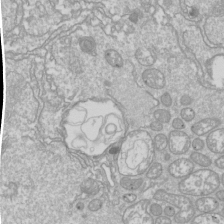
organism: Drosophila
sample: Cell division; meiosis; drosophila spermatocytes